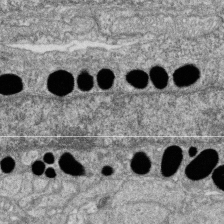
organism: Zebrafish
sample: Cilia; retinal pigment epithelium